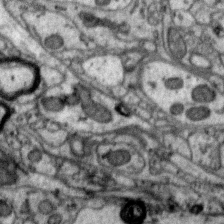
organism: Zebra finch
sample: Brain